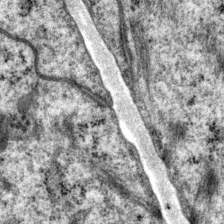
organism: P. pacificus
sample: Pharynx